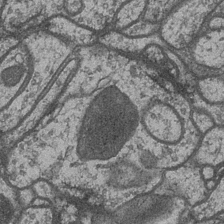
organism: Drosophila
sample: Optic medulla